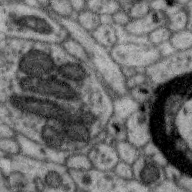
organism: Zebra finch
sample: Brain